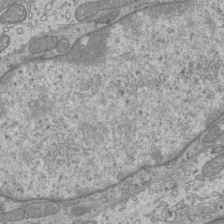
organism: Mouse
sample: Cilia; mouse epididymis